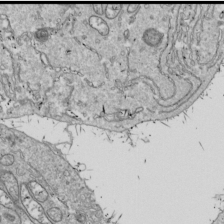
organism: Drosophila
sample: Cell division; meiosis; drosophila spermatocytes